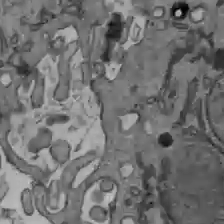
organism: C57BL Mouse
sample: Liver